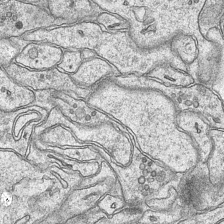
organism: Mouse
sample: CA1 Hippocampus